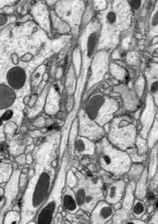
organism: Drosophila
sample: Optic lobe